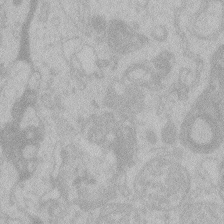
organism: Zebrafish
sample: Macrophage infected with Toxoplasma gondii